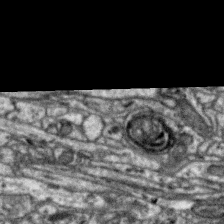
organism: Zebra finch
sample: Brain